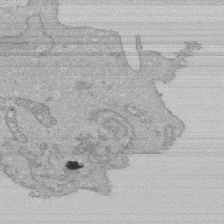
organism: Human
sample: Activated Jurkat CD4+ T cells